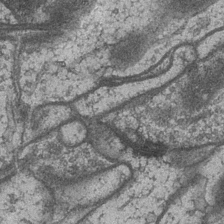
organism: Drosophila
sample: Optic medulla